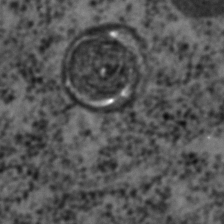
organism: C. elegans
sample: C. elegans embryo